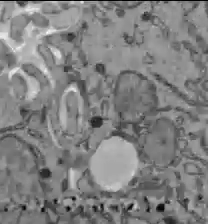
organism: C57BL Mouse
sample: Liver